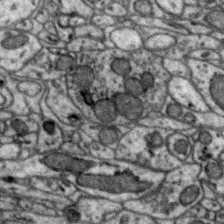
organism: Zebra finch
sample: Brain